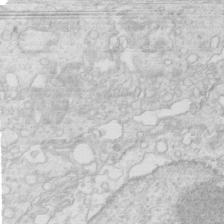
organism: Mouse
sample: Multiciliated cells